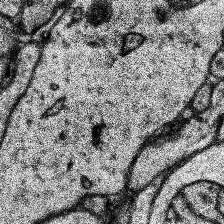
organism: Human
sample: Temporal Lobe